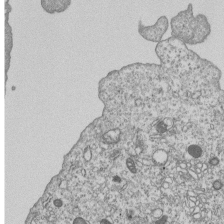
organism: Human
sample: MDA-MB-231 cells